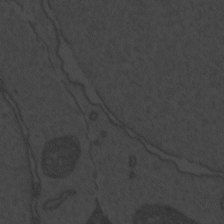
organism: Zebrafish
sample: Macrophage infected with Toxoplasma gondii